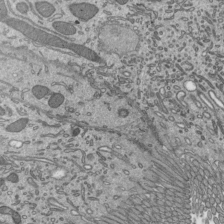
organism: Mouse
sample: Mouse epididymis efferent ductule cilia